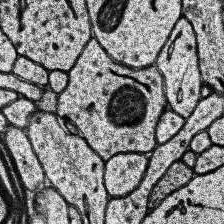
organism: Human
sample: Temporal Lobe